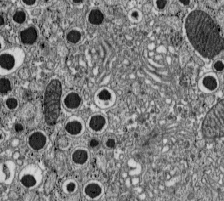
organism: C57BL Mouse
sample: Pancreatic islet